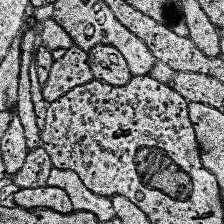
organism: Human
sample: Temporal Lobe